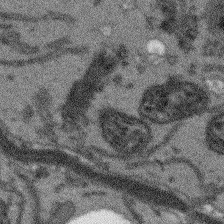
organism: Arabidopsis thaliana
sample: Root tip